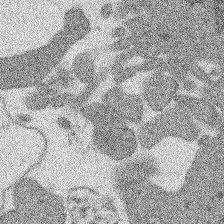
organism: Human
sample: HeLa cells